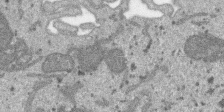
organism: Human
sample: Lung epithelial cells infected with SARS-CoV-2